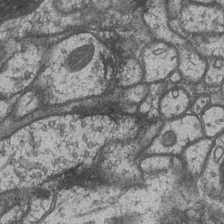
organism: Drosophila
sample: Optic medulla